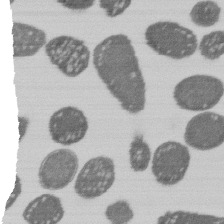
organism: E. coli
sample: Bacterial nucleoid